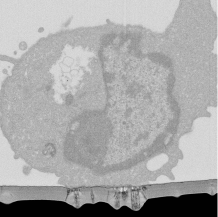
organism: Mouse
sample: Activated Pmel transgenic CD8+ T Cells